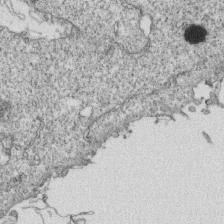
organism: Human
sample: HeLa cell HIV synapse